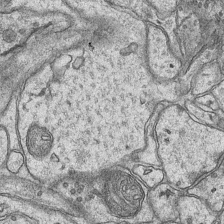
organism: Mouse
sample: CA1 Hippocampus